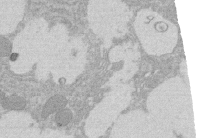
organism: Rat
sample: Salivary granule